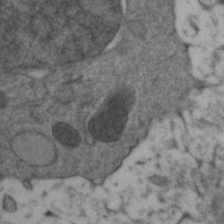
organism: Zebrafish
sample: Zebrafish embryo